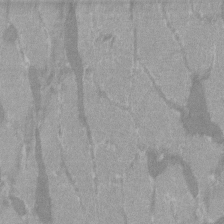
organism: C57BL Mouse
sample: Tibialis anterior muscle cell